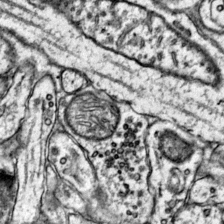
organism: Mouse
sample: Primary visual cortex